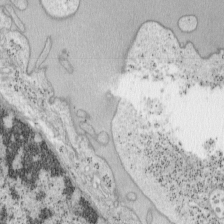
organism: Mouse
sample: OT-I killer T cells with ID8 ovarian cancer cells